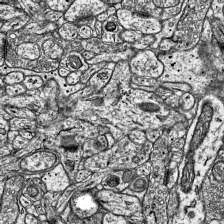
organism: Mouse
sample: Visual Cortex